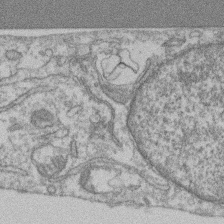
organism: Mouse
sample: T cell stromal cell synapse